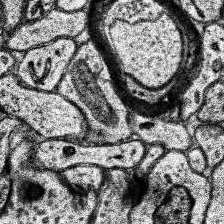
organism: Human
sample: Temporal Lobe